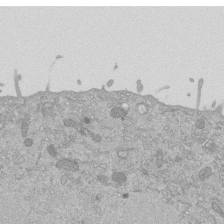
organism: Mouse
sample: ED-1 cell nuclei; centrioles